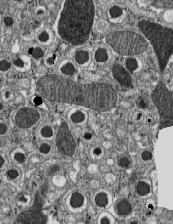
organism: C57BL Mouse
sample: Pancreatic islet